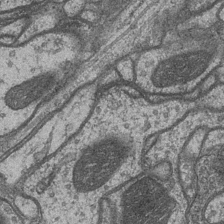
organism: Drosophila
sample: Optic medulla